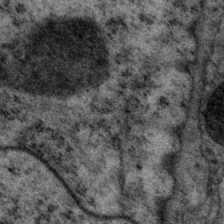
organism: P. pacificus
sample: Pharynx